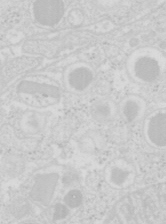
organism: Mouse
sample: Pancreas